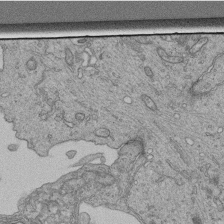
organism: Human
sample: Retinal organoid Rod and Cone cells